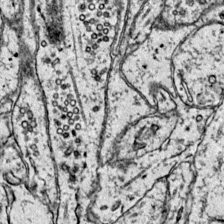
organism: Mouse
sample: Primary visual cortex